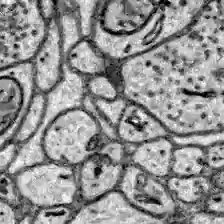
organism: Zebrafish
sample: Brain